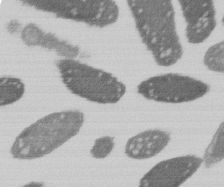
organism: E. coli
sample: Bacterial nucleoid